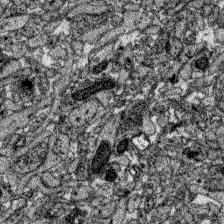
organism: Zebrafish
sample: Larval olfactory bulb